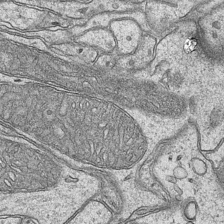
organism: Mouse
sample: CA1 Hippocampus